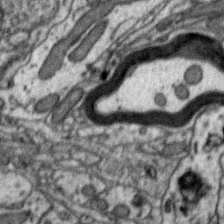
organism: Zebra finch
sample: Brain